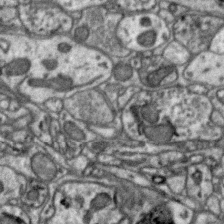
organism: Zebra finch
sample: Brain